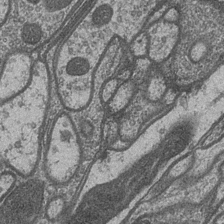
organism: Drosophila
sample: Optic medulla